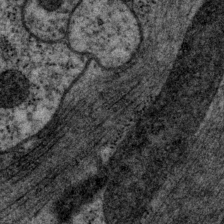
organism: P. pacificus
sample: Pharynx